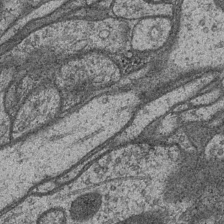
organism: Drosophila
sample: Optic medulla